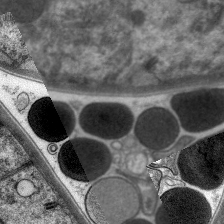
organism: C. elegans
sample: Pharynx